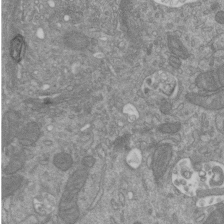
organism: Mouse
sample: ED-1 cell nuclei; centrioles